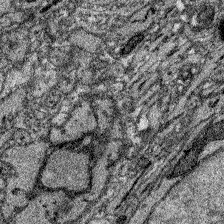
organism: Zebrafish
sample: Larval olfactory bulb